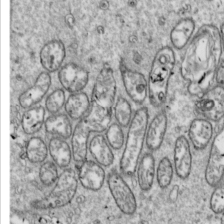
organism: Drosophila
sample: Cell division; meiosis; drosophila spermatocytes